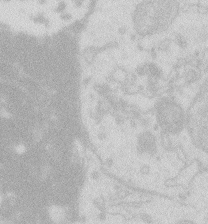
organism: Zebrafish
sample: Macrophage